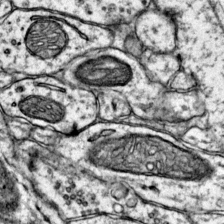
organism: Mouse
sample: Primary visual cortex